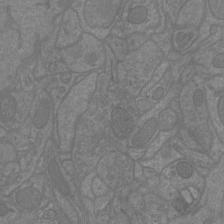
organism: Mouse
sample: Cortical neurons